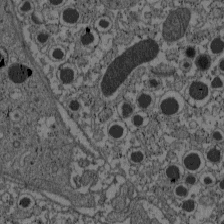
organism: C57BL Mouse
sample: Pancreatic islet